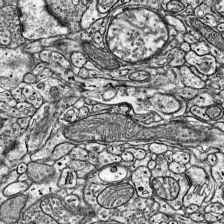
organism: Mouse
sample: Visual Cortex